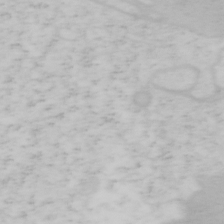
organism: Mouse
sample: OT-I killer T cells with ID8 ovarian cancer cells